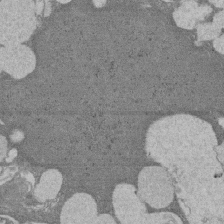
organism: Rat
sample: Salivary granule